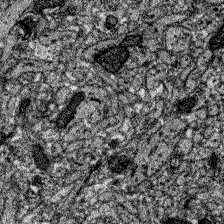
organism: Zebrafish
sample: Larval olfactory bulb